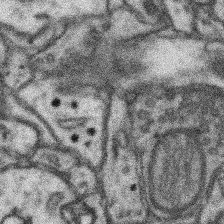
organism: Mouse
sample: Somatosensory cortex neuropil